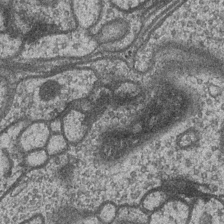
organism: Drosophila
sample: Optic medulla